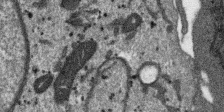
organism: Human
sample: Lung epithelial cells infected with SARS-CoV-2